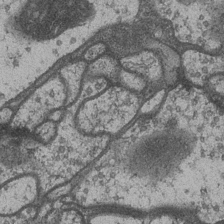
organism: Drosophila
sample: Optic medulla